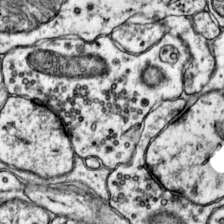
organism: Mouse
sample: Primary visual cortex